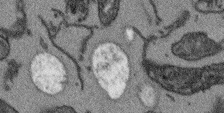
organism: Arabidopsis thaliana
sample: Root tip